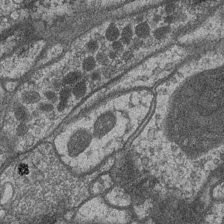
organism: Drosophila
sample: Optic medulla